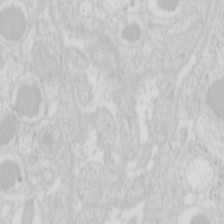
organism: Mouse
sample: Pancreas